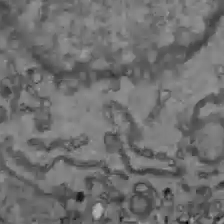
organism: C57BL Mouse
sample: Liver